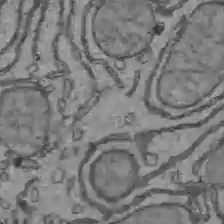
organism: C57BL Mouse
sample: Liver